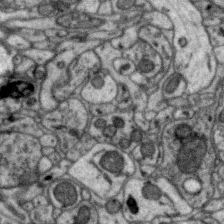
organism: Zebra finch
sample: Brain